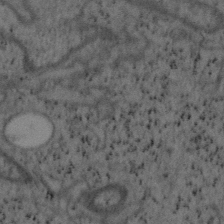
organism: Human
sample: HeLa cells